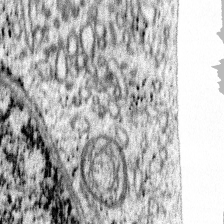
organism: Human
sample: HeLa cells